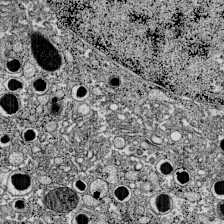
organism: C57BL Mouse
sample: Pancreatic islet